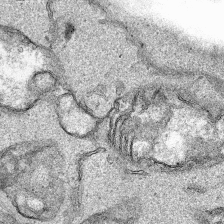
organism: Human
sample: Mitochondria in HCT116 cells